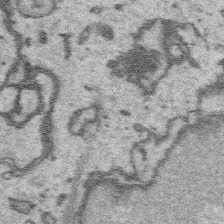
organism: Platynereis dumerilii